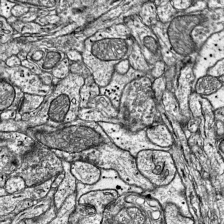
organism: Mouse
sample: Visual Cortex